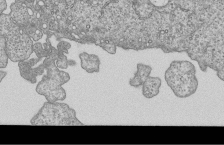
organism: Human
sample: MDA-MB-231 cells